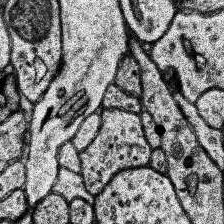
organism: Human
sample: Temporal Lobe